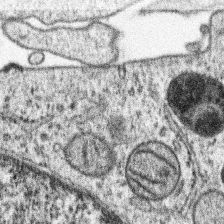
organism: Human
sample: HeLa cells